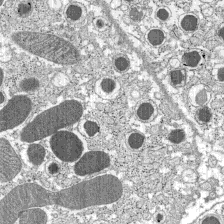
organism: C57BL Mouse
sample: Pancreatic islet